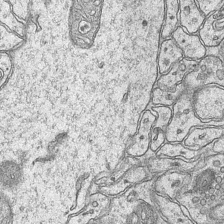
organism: Mouse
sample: CA1 Hippocampus